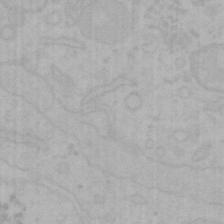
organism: Mouse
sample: Choroid plexus